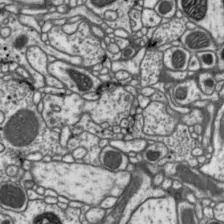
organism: Drosophila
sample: Protocerebral bridge